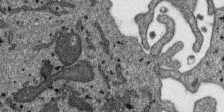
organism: Human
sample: Lung epithelial cells infected with SARS-CoV-2